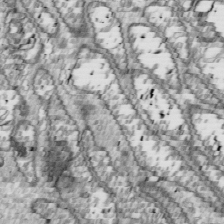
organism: Drosophila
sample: Cell division; meiosis; drosophila spermatocytes